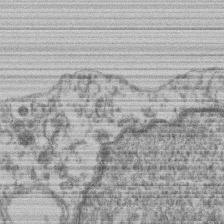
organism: Mouse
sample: T cell stromal cell synapse